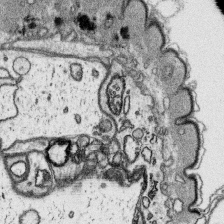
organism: Platynereis dumerilii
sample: Parapodia